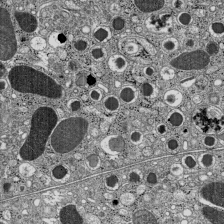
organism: C57BL Mouse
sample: Pancreatic islet